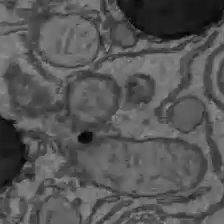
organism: C57BL Mouse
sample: Liver